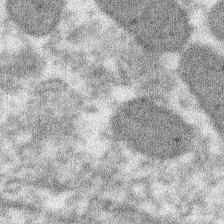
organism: Xenopus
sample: Cilia; centrioles in frog embryo cells